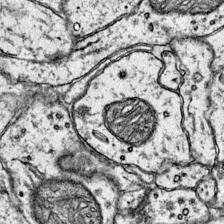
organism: Mouse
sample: Primary visual cortex